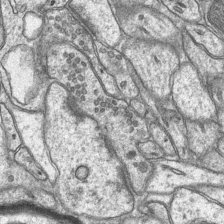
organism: Mouse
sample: CA1 Hippocampus